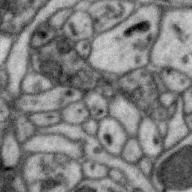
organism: Zebra finch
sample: Brain